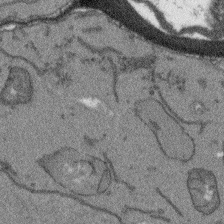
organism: Arabidopsis thaliana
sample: Root tip